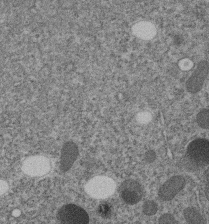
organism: C. elegans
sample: C. elegans embryo early stage